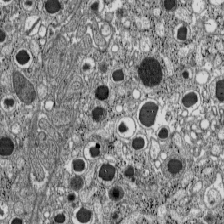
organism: C57BL Mouse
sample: Pancreatic islet